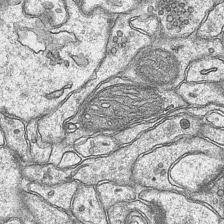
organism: Mouse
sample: CA1 Hippocampus